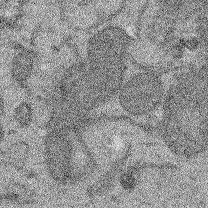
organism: Human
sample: HeLa cells